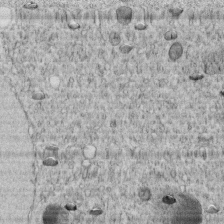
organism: C. elegans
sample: C. elegans embryo early stage